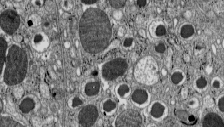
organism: C57BL Mouse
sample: Pancreatic islet